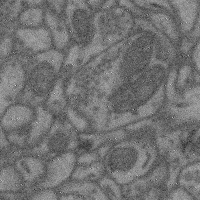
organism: Mouse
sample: Cerebral cortex